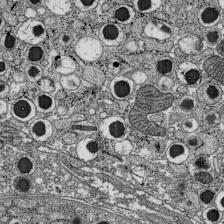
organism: C57BL Mouse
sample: Pancreatic islet